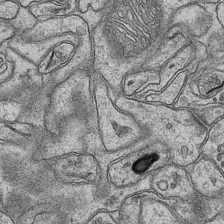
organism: Mouse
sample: CA1 Hippocampus